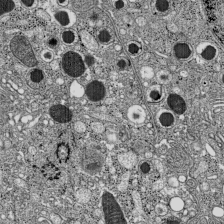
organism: C57BL Mouse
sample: Pancreatic islet